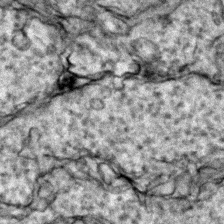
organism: Zebrafish